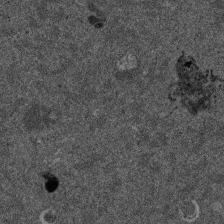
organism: Mouse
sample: Dividing mouse embryo 1 cell stage